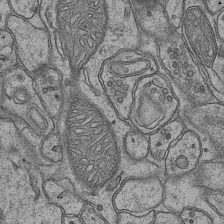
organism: Mouse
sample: CA1 Hippocampus